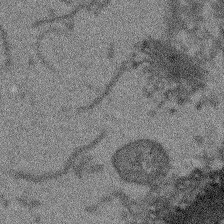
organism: Arabidopsis thaliana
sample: Root tip